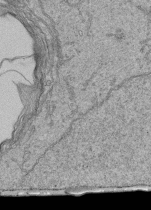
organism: Human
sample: Retinal organoid Rod and Cone cells